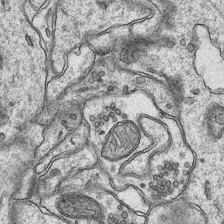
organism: Mouse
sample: CA1 Hippocampus